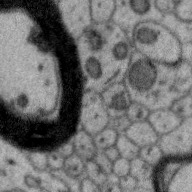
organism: Zebra finch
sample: Brain